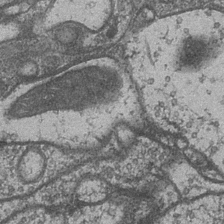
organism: Drosophila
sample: Optic medulla